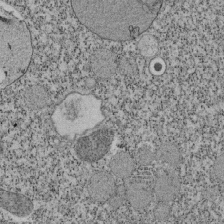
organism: Tetrahymena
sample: Cilia in tetrahymena